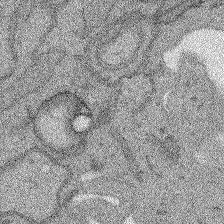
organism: Human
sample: HeLa cells